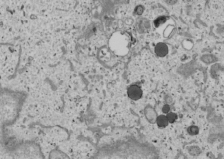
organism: Human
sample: Mitochondria in U2OS cells